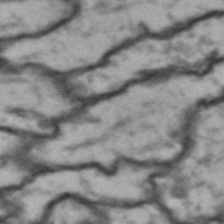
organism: Drosophila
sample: Brain